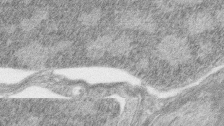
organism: Zebrafish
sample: synaptic ribbons in rod cells and cone cells